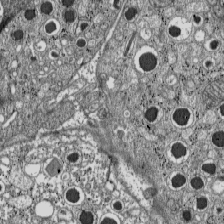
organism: C57BL Mouse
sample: Pancreatic islet